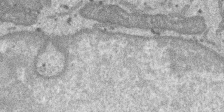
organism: Human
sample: Lung epithelial cells infected with SARS-CoV-2